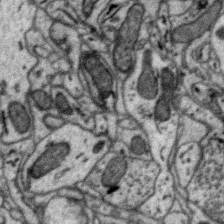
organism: Zebra finch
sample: Brain